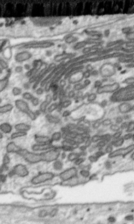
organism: Toxoplasma gondii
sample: Parasites in a vacuole inside a host cell